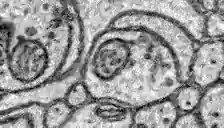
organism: Zebrafish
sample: Brain